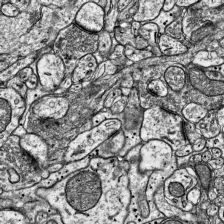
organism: Mouse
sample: Visual Cortex